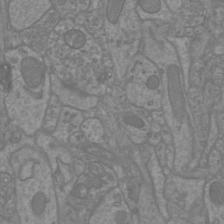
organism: Mouse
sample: Cortical neurons